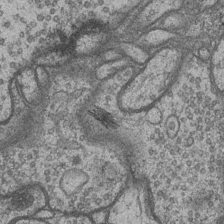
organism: Drosophila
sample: Optic medulla